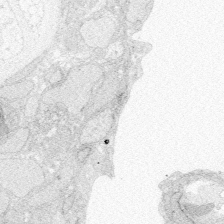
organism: Zebrafish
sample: Whole-Brain